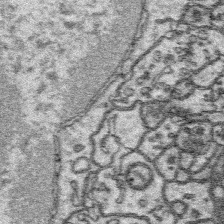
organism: Platynereis dumerilii